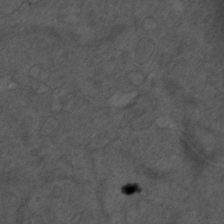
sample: Trachea